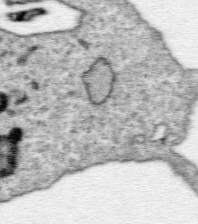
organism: Human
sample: HeLa cells